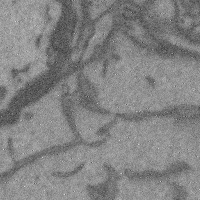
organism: Mouse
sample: Cerebral cortex